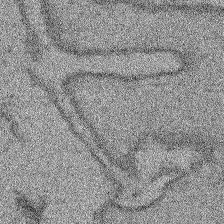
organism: Human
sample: HeLa cells